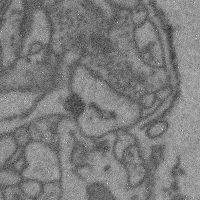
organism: Mouse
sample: Cerebral cortex